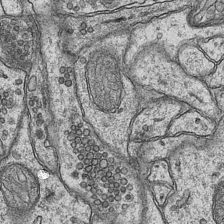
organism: Mouse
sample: CA1 Hippocampus